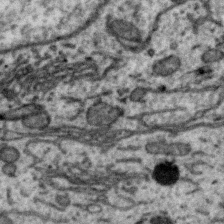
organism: Zebra finch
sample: Brain